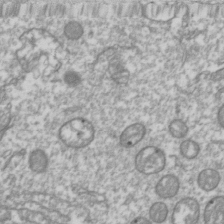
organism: Drosophila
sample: Cell division; meiosis; drosophila spermatocytes